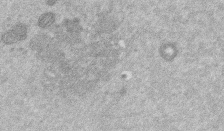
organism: Mouse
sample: Dividing mouse embryo 1 cell stage